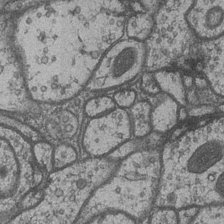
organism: Drosophila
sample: Optic medulla